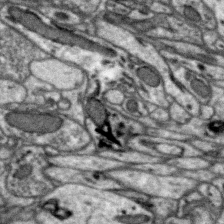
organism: Zebra finch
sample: Brain